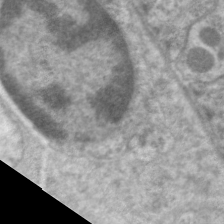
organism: C. elegans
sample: Pharynx